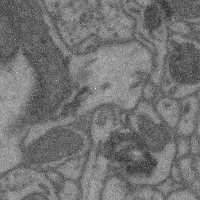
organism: Mouse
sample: Cerebral cortex